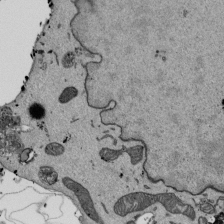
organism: Mouse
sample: ED-1 cell nuclei; centrioles